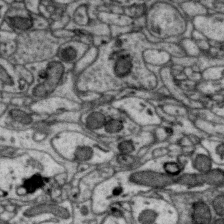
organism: Zebra finch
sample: Brain